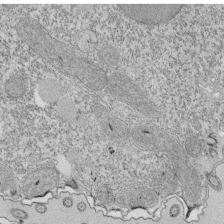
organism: Tetrahymena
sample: Cilia in tetrahymena